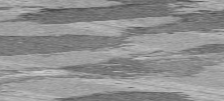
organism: C57BL Mouse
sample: Heart